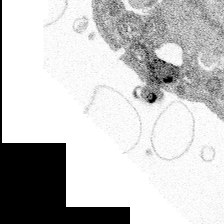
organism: Spongilla lacustris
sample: Multiple